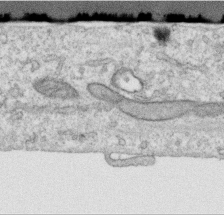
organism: Human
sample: Centriole in RPE cells